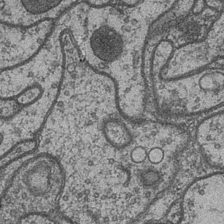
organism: Drosophila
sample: Optic medulla